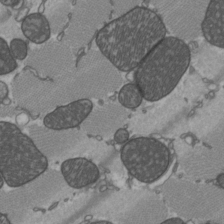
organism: C57BL Mouse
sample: Heart